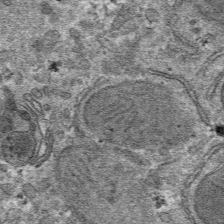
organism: Mouse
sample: Mouse hepatocytes